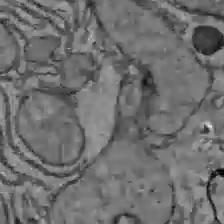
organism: C57BL Mouse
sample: Liver